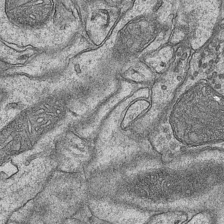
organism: Mouse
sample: CA1 Hippocampus